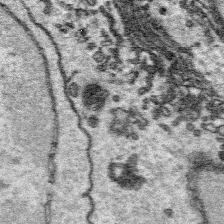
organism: Platynereis dumerilii